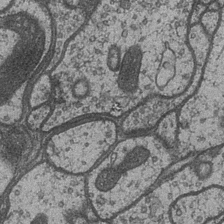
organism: Drosophila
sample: Optic medulla